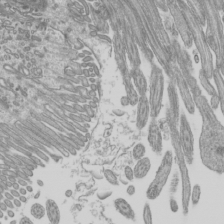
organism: Mouse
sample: Cilia; mouse epididymis